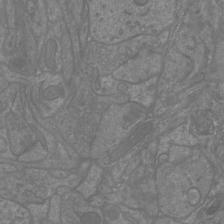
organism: Mouse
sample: Cortical neurons